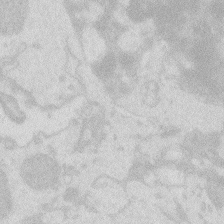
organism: Zebrafish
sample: Macrophage